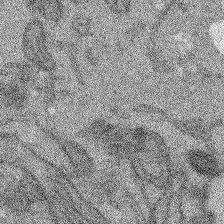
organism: Human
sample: HeLa cells